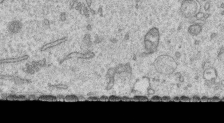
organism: Human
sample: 1205lu cells